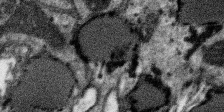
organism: Human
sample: Lung epithelial cells infected with SARS-CoV-2